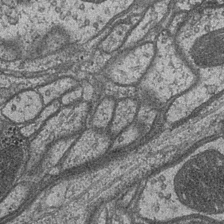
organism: Drosophila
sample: Optic medulla